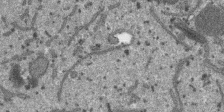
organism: Human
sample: Lung epithelial cells infected with SARS-CoV-2